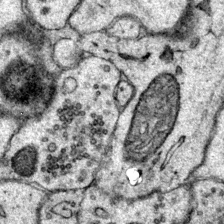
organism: Mouse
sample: Primary visual cortex